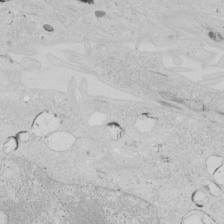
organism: Human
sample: Mitochondria in HCT116 cells